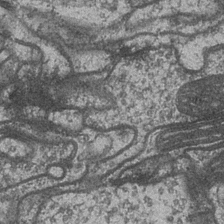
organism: Drosophila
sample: Optic medulla